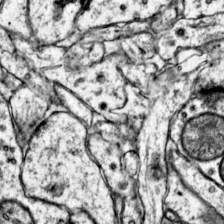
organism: Mouse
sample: Primary visual cortex